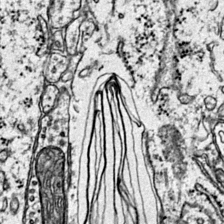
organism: Mouse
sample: Primary visual cortex